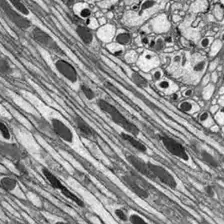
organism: Drosophila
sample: Optic lobe